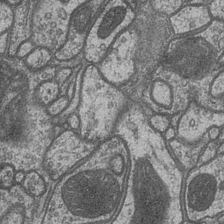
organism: Drosophila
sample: Optic medulla